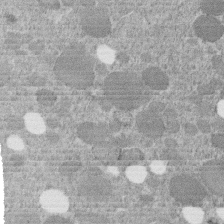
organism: C. elegans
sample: C. elegans embryo early stage